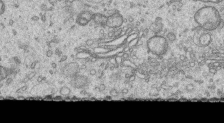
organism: Human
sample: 1205lu cells